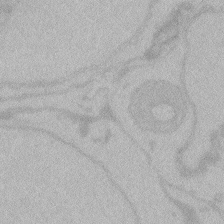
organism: Zebrafish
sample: Macrophage infected with Toxoplasma gondii